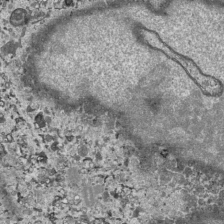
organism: Human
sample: Mitochondria in HCT116 cells